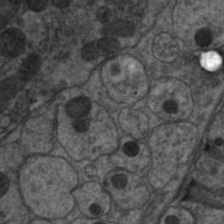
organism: C. elegans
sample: Pharynx